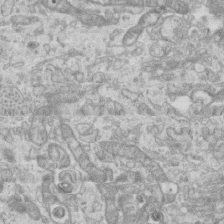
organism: Mouse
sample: Centriole in ependymal cells